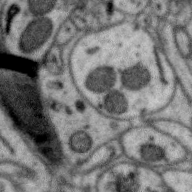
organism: Zebra finch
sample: Brain